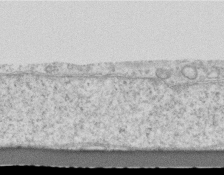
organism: Mouse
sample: Centriole in ependymal cells